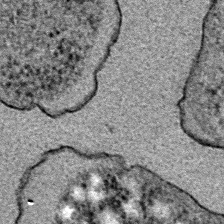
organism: E. coli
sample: E. Coli Bacteria